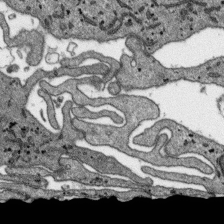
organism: Human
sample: Lung epithelial cells, uninfected (mock) control